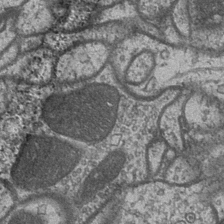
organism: Drosophila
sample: Optic medulla